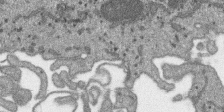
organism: Human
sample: Lung epithelial cells infected with SARS-CoV-2